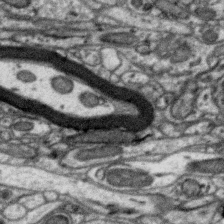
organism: Zebra finch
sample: Brain